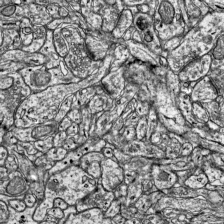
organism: Mouse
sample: Visual Cortex